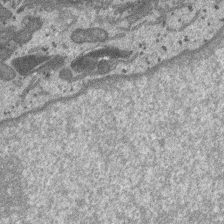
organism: Human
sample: Lung epithelial cells infected with SARS-CoV-2